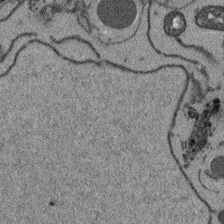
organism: Arabidopsis thaliana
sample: Root tip